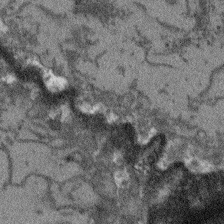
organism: Arabidopsis thaliana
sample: Root tip